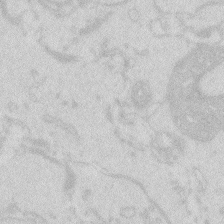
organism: Zebrafish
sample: Macrophage